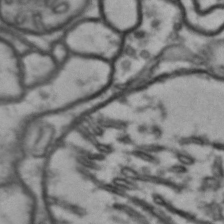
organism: Drosophila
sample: Brain